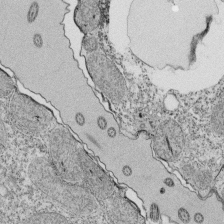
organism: Tetrahymena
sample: Cilia in tetrahymena